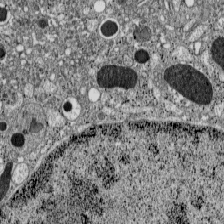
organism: C57BL Mouse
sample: Pancreatic islet